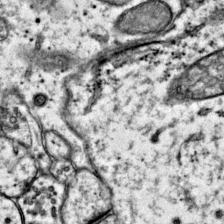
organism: Mouse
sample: Primary visual cortex